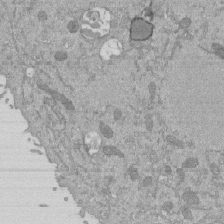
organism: Mouse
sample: ED-1 cell nuclei; centrioles